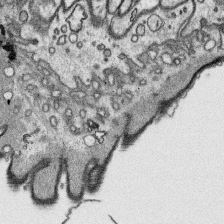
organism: Platynereis dumerilii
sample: Parapodia